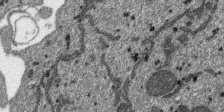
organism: Human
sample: Lung epithelial cells infected with SARS-CoV-2